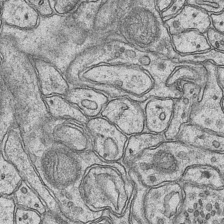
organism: Mouse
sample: CA1 Hippocampus